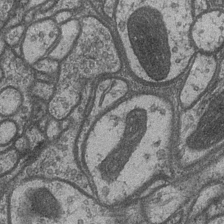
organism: Drosophila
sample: Optic medulla